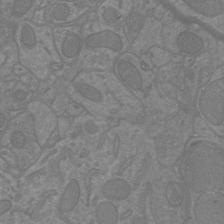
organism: Mouse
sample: Cortical neurons